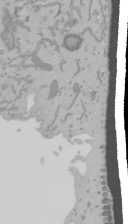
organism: Mouse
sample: Cancer cell death in ED-1 cells